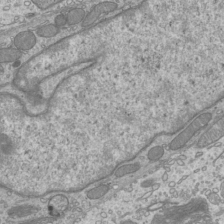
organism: Mouse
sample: Cilia; mouse epididymis